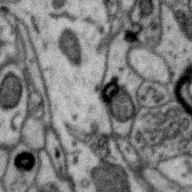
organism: Zebra finch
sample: Brain